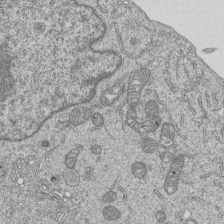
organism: Human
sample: MDA-MB-231 cells